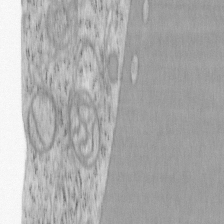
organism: Human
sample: HeLa cells